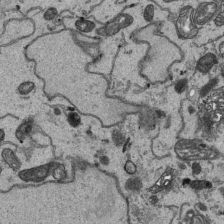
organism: Human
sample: Mitochondria in HCT116 cells